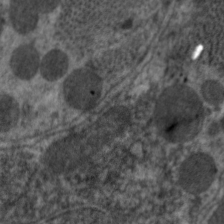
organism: C. elegans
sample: Pharynx